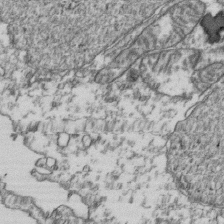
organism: Human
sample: Activated Jurkat CD4+ T cells